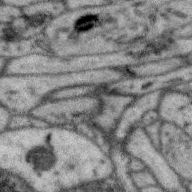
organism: Zebra finch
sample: Brain